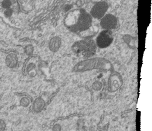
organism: Human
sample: MDA-MB-231 cells